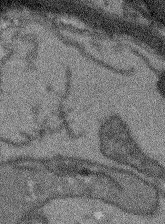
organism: Arabidopsis thaliana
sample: Root tip